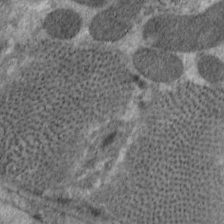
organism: C. elegans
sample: Pharynx